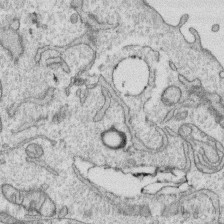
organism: Human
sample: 1205lu cells